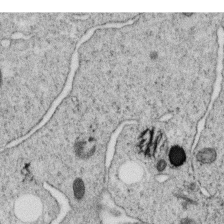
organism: C. elegans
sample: C. elegans oocyte; sperm cells